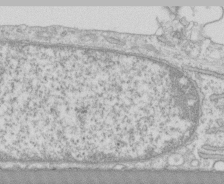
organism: Human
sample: CRL-1474